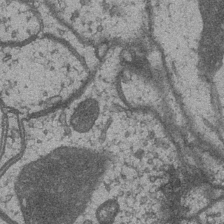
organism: Drosophila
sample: Optic medulla